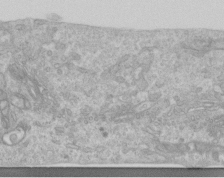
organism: Human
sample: Centriole in RPE cells